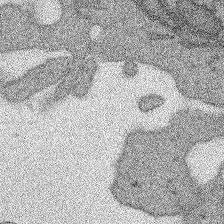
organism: Human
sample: HeLa cells